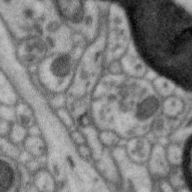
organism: Zebra finch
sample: Brain